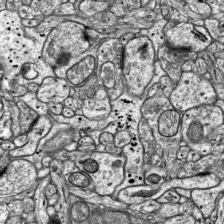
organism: Mouse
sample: Visual Cortex